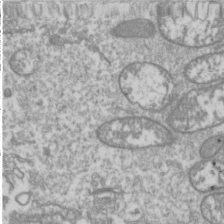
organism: Drosophila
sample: Cell division; meiosis; drosophila spermatocytes